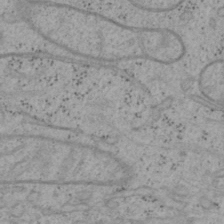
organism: Human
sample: HeLa cells